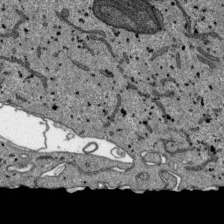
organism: Human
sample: Lung epithelial cells, uninfected (mock) control